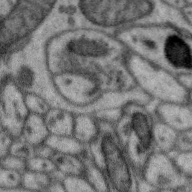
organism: Zebra finch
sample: Brain